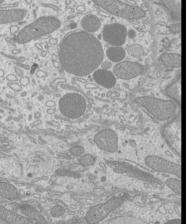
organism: Mouse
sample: Cilia; mouse epididymis